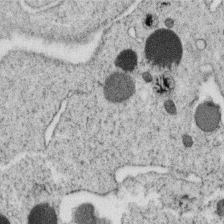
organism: C. elegans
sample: C. elegans oocyte; sperm cells